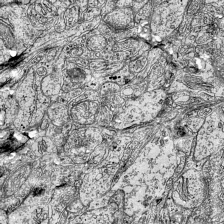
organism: Mouse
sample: Visual Cortex